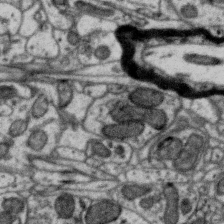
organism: Zebra finch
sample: Brain